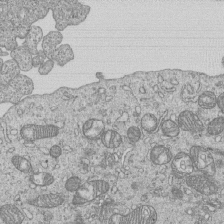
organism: Human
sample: MDA-MB-231 cells